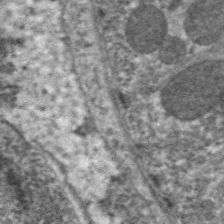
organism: C. elegans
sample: Pharynx